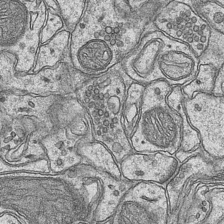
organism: Mouse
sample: CA1 Hippocampus